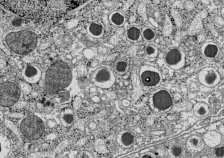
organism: C57BL Mouse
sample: Pancreatic islet